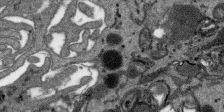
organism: Human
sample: Lung epithelial cells, uninfected (mock) control